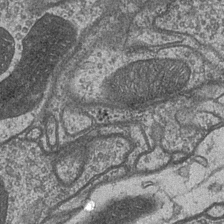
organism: Drosophila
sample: Optic medulla